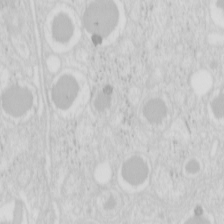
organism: Mouse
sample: Pancreas